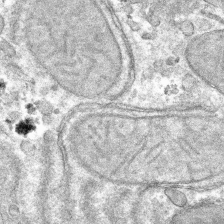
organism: Mouse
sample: Mouse hepatocytes